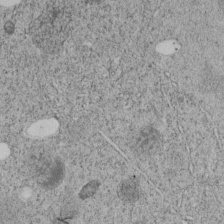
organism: C. elegans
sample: C. elegans embryo early stage